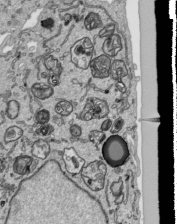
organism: Human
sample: Mitochondria in HCT116 cells